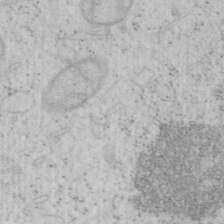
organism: Human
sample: HeLa cells